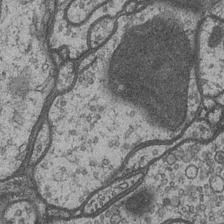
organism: Drosophila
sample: Optic medulla